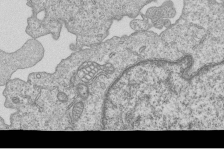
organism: Human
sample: MDA-MB-231 cells